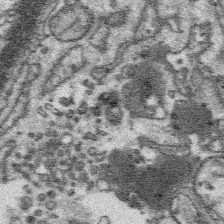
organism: Platynereis dumerilii